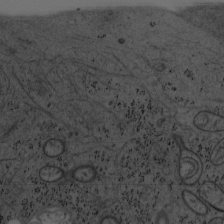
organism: Mouse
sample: OT-I killer T cells with ID8 ovarian cancer cells